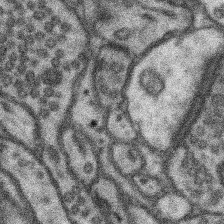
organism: Mouse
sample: Somatosensory cortex neuropil